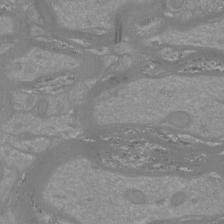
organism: Mouse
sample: Cortical neurons